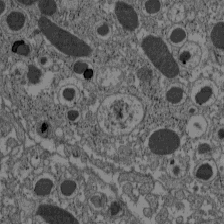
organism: C57BL Mouse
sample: Pancreatic islet